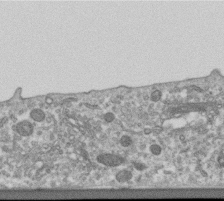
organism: Human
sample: Centriole in RPE cells